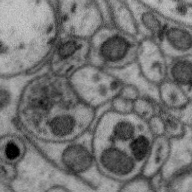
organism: Zebra finch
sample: Brain